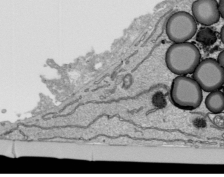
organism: Human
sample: Mitochondria in HCT116 cells